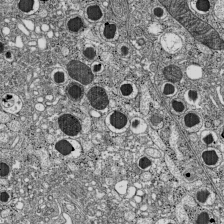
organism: C57BL Mouse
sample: Pancreatic islet